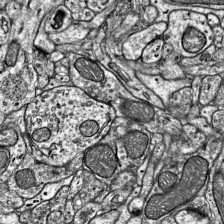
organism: Mouse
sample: Visual Cortex